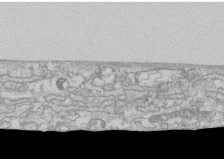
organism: Human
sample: CRL-1474